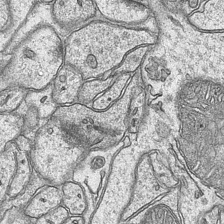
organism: Mouse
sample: CA1 Hippocampus